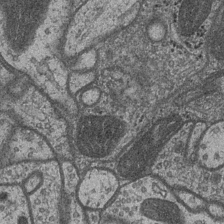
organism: Drosophila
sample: Optic medulla